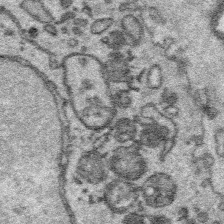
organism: Platynereis dumerilii